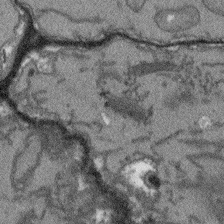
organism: Arabidopsis thaliana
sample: Root tip